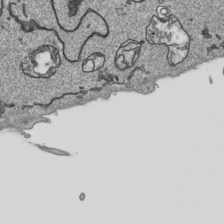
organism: Human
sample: Mitochondria in HCT116 cells